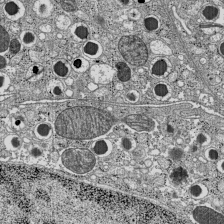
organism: C57BL Mouse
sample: Pancreatic islet